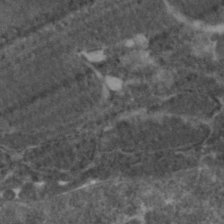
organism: Zebrafish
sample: Zebrafish embryo